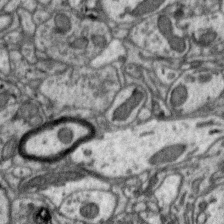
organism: Zebra finch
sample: Brain